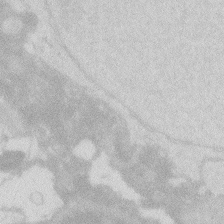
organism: Zebrafish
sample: Macrophage